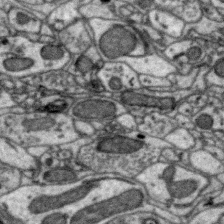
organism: Zebra finch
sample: Brain